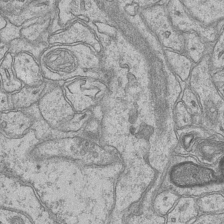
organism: Mouse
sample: CA1 Hippocampus